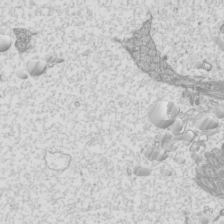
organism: Mouse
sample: Cilia; mouse epididymis